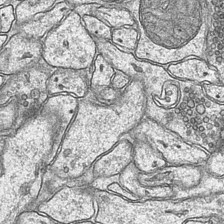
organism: Mouse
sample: CA1 Hippocampus